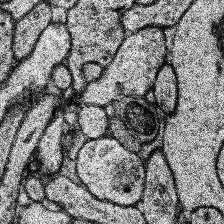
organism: Human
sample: Temporal Lobe